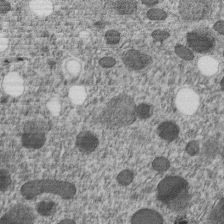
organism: C. elegans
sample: C. elegans embryo early stage